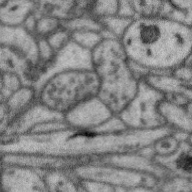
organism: Zebra finch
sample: Brain